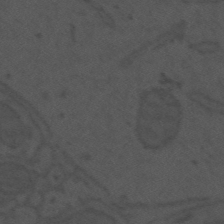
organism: Mouse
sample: Suprachiasmatic nucleus